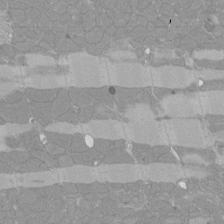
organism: Rat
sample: Left ventricle